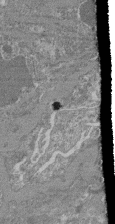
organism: Mouse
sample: Glomerulus